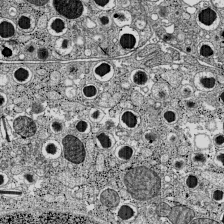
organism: C57BL Mouse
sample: Pancreatic islet